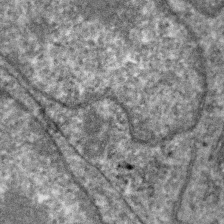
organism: Zebra finch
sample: Brain